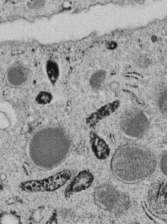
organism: C. elegans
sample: C. elegans embryo early stage